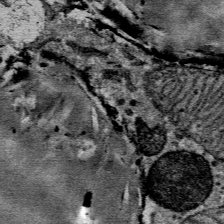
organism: Mouse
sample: Mouse Salivary gland